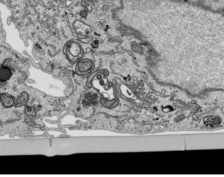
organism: Human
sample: Mitochondria in HCT116 cells